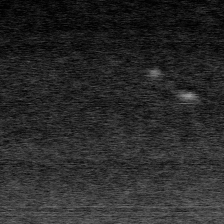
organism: Human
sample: HeLa cells